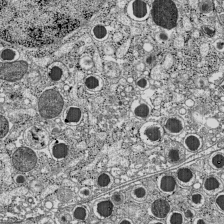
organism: C57BL Mouse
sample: Pancreatic islet